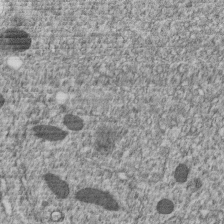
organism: C. elegans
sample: C. elegans embryo early stage